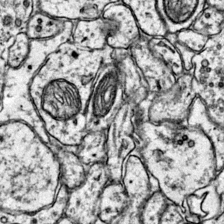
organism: Mouse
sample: Primary visual cortex